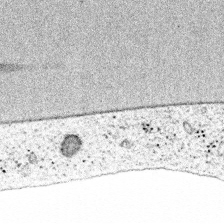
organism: Human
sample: HeLa cells